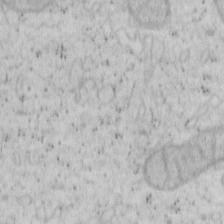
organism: Human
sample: HeLa cells